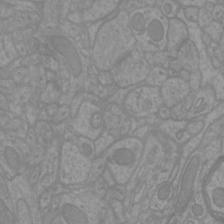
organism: Mouse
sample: Cortical neurons